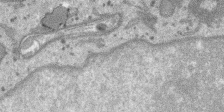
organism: Human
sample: Lung epithelial cells infected with SARS-CoV-2